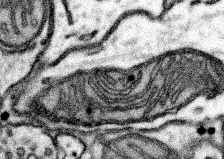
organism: Mouse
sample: Somatosensory cortex neuropil